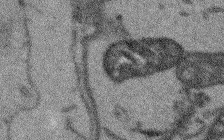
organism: Arabidopsis thaliana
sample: Root tip